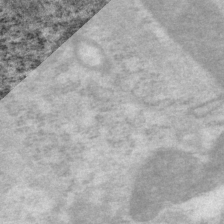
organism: P. pacificus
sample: Pharynx